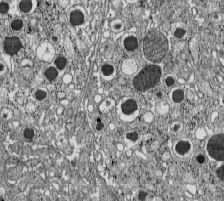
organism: C57BL Mouse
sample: Pancreatic islet